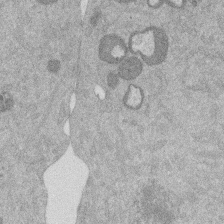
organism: Mouse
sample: Dividing mouse embryo 1 cell stage